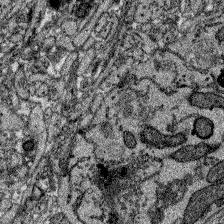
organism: Zebrafish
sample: Larval olfactory bulb